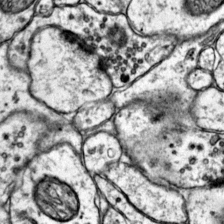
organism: Mouse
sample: Primary visual cortex